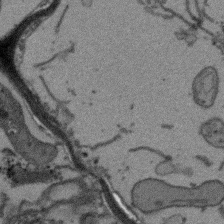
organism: Arabidopsis thaliana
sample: Root tip